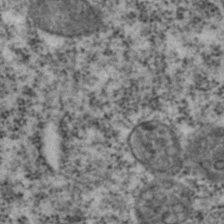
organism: C. elegans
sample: C. elegans embryo